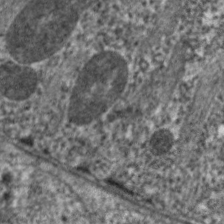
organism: C. elegans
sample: Pharynx